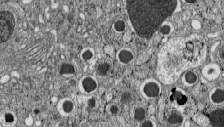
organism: C57BL Mouse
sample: Pancreatic islet